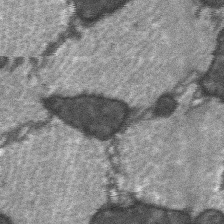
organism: C57BL Mouse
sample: Soleus